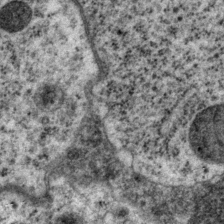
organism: P. pacificus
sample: Pharynx